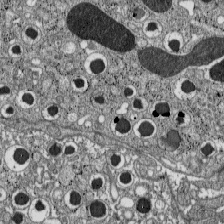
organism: C57BL Mouse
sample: Pancreatic islet